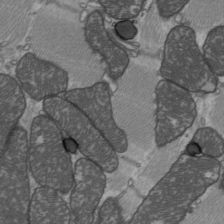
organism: C57BL Mouse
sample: Heart